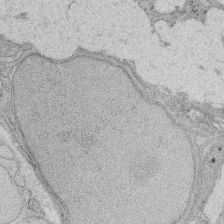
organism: Rat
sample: Salivary granule